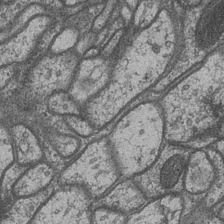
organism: Drosophila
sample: Optic medulla